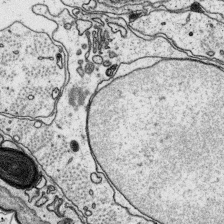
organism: Platynereis dumerilii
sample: Parapodia